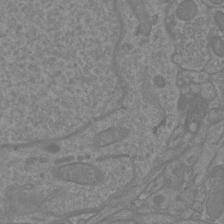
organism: Mouse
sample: Cortical neurons